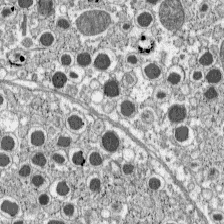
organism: C57BL Mouse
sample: Pancreatic islet